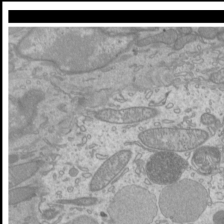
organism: Mouse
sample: Cilia; mouse epididymis